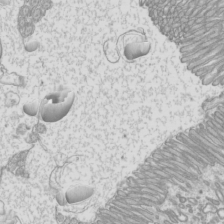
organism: Mouse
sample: Cilia; mouse epididymis